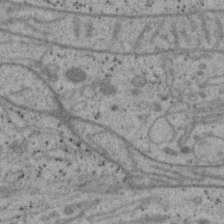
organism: Human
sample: HeLa cells